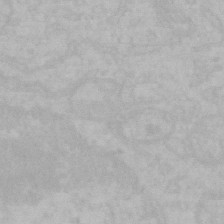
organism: Mouse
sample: Choroid plexus